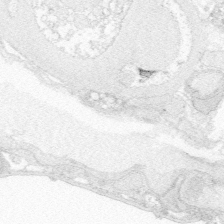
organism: Zebrafish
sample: Whole-Brain